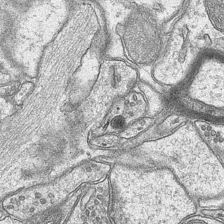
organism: Mouse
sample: CA1 Hippocampus